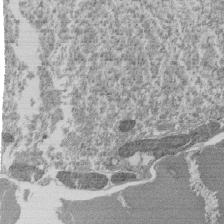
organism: Tetrahymena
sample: Cilia in tetrahymena